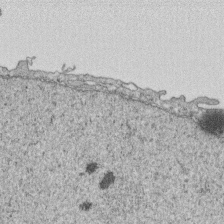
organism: Human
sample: HeLa cell HIV synapse